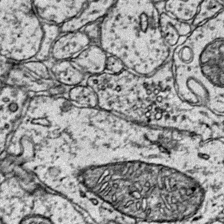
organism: Mouse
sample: Primary visual cortex